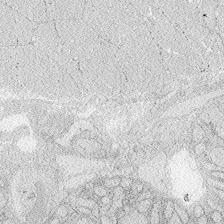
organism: Zebrafish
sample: Whole-Brain